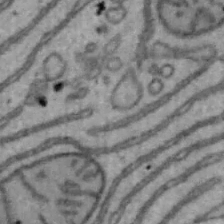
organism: Mouse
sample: Liver